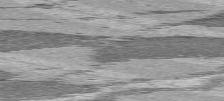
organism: C57BL Mouse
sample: Heart